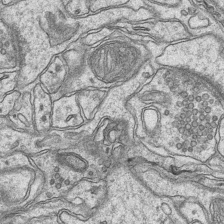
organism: Mouse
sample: CA1 Hippocampus